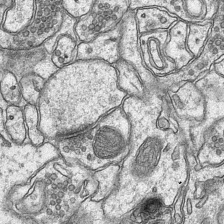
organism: Mouse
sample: CA1 Hippocampus